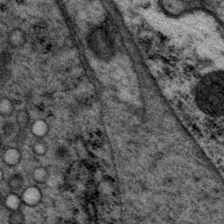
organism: P. pacificus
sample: Pharynx